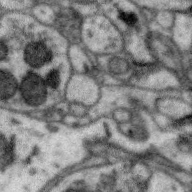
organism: Zebra finch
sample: Brain